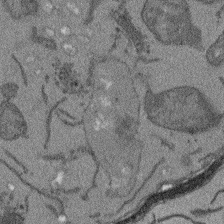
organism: Arabidopsis thaliana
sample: Root tip